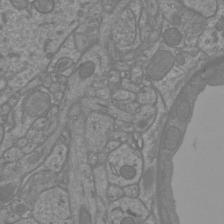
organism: Mouse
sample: Cortical neurons